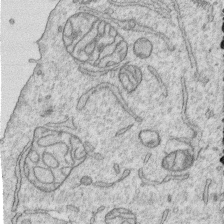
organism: Human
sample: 1205lu cells